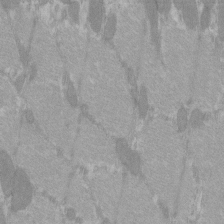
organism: C57BL Mouse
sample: Tibialis anterior muscle cell